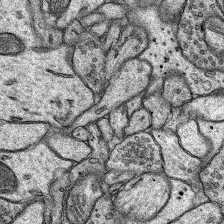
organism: Rat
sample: Hippocampus